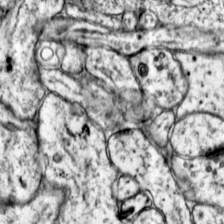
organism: Mouse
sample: Primary visual cortex